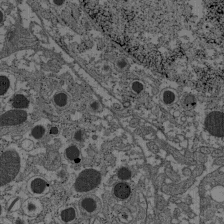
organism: C57BL Mouse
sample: Pancreatic islet